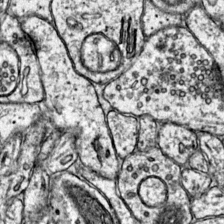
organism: Mouse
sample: Primary visual cortex